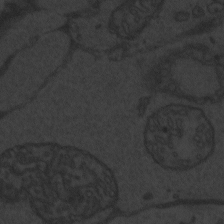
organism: Zebrafish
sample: Macrophage infected with Toxoplasma gondii